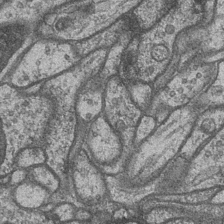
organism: Drosophila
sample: Optic medulla